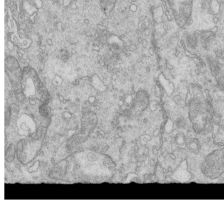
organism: Mouse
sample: Multiciliated cells